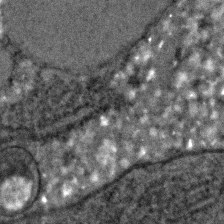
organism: C. elegans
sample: C. elegans embryo